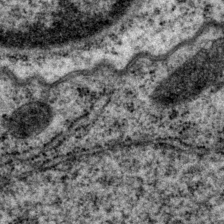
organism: P. pacificus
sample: Pharynx